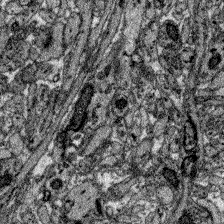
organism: Zebrafish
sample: Larval olfactory bulb